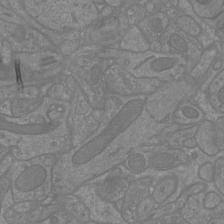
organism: Mouse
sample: Cortical neurons